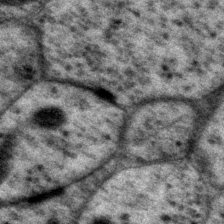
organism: P. pacificus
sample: Pharynx